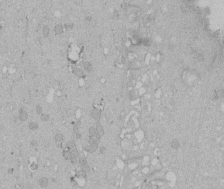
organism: Human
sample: Melanocyte Keratinocyte synapse skin construct